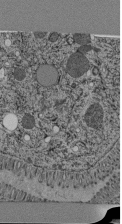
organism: C. elegans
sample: C. elegans pharynx